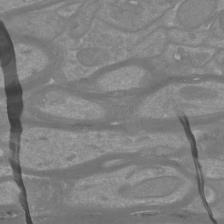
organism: Mouse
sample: Cortical neurons